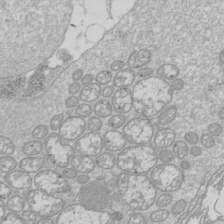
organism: Drosophila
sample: Cell division; meiosis; drosophila spermatocytes